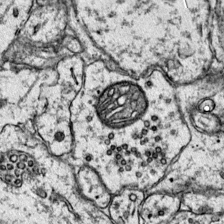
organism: Mouse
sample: Primary visual cortex